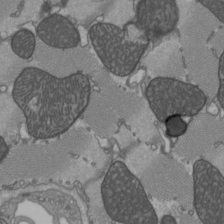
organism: C57BL Mouse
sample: Heart